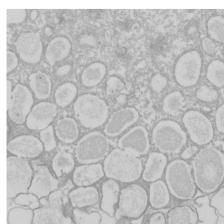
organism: Xenopus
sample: Cilia; centrioles in frog embryo cells